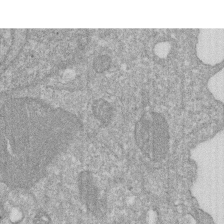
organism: Human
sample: HIV infected U937 cells